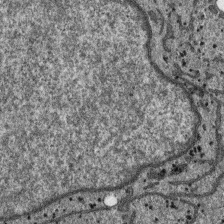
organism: Human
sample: Lung epithelial cells infected with SARS-CoV-2